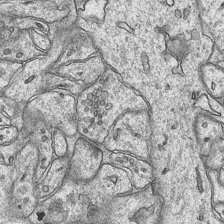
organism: Mouse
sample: CA1 Hippocampus